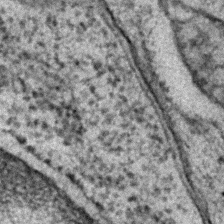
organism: C. elegans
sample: C. elegans embryo